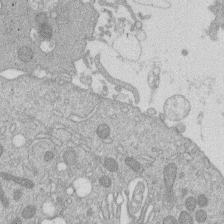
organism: Human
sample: Macrophage cells